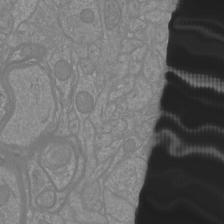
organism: Mouse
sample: Cortical neurons